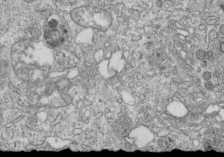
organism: Human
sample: HeLa cell HIV synapse